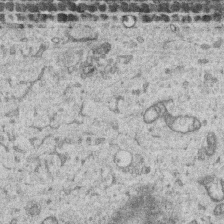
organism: Human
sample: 1205lu cells